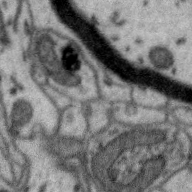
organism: Zebra finch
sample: Brain